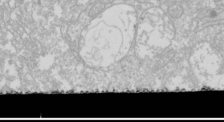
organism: Drosophila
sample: Cell division; meiosis; drosophila spermatocytes